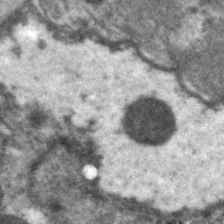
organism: C. elegans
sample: Pharynx